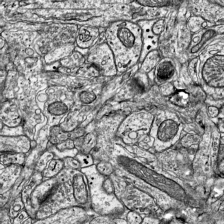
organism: Mouse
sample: Visual Cortex